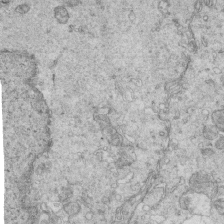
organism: Mouse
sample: Multiciliated cells